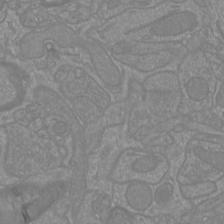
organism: Mouse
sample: Cortical neurons